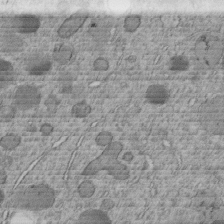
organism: C. elegans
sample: C. elegans embryo early stage